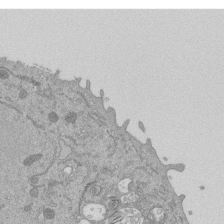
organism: Mouse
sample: ED-1 cell nuclei; centrioles